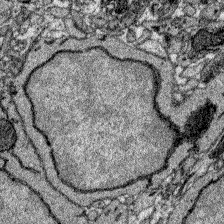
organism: Zebrafish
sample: Larval olfactory bulb